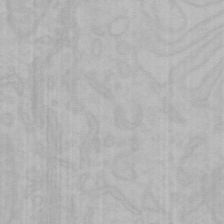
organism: Mouse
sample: Choroid plexus